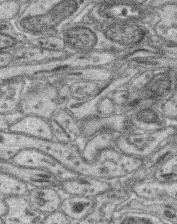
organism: Mouse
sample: Retina